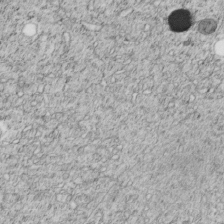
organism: C. elegans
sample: C. elegans embryo early stage